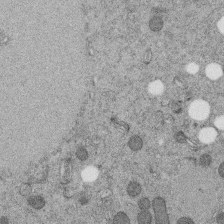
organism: C. elegans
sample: C. elegans embryo early stage